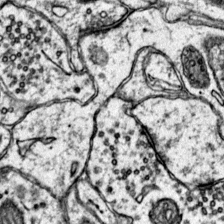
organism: Mouse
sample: Primary visual cortex